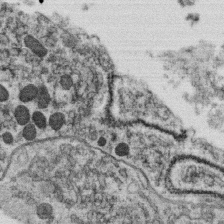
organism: C. elegans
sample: C. elegans oocyte; sperm cells